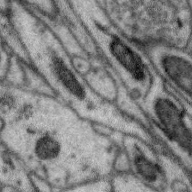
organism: Zebra finch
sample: Brain